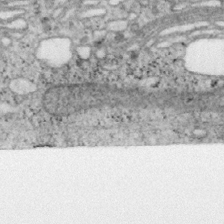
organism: Mouse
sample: OT-I killer T cells with ID8 ovarian cancer cells